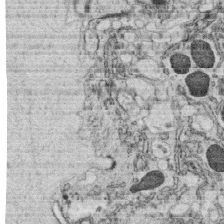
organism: C. elegans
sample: C. elegans oocyte; sperm cells